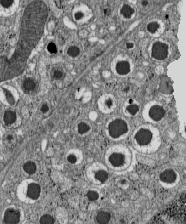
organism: C57BL Mouse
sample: Pancreatic islet